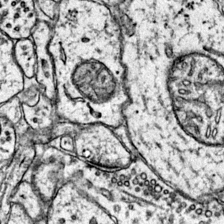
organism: Mouse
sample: Primary visual cortex